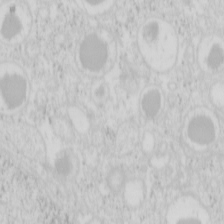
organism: Mouse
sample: Pancreas